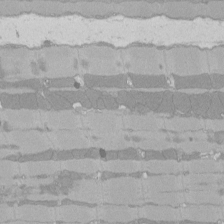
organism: Rat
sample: Left ventricle